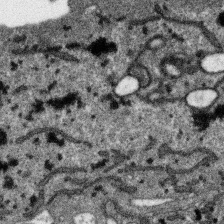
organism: Human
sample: Lung epithelial cells infected with SARS-CoV-2